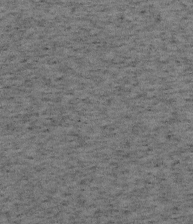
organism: Mouse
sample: OT-I killer T cells with ID8 ovarian cancer cells